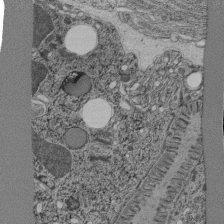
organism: C. elegans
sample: C. elegans pharynx